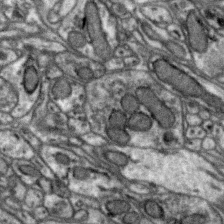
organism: Zebra finch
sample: Brain